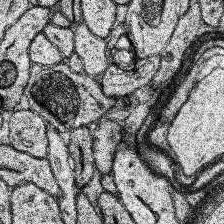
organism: Human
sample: Temporal Lobe